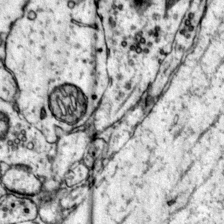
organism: Mouse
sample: Primary visual cortex